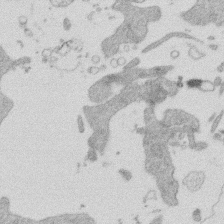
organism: Mouse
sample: Dividing mouse embryo 1 cell stage